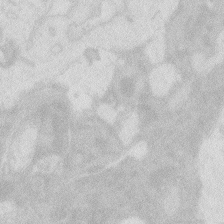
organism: Zebrafish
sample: Macrophage